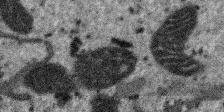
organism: Human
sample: Lung epithelial cells infected with SARS-CoV-2